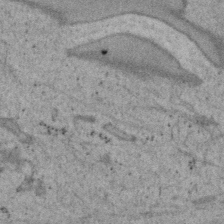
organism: Human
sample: HeLa cells